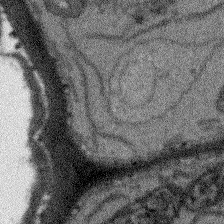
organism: Arabidopsis thaliana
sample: Root tip